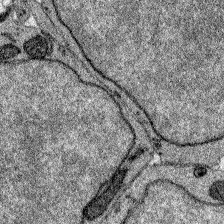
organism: Zebrafish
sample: Larval olfactory bulb